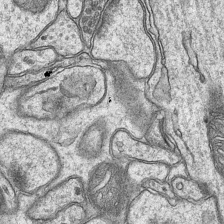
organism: Mouse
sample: CA1 Hippocampus